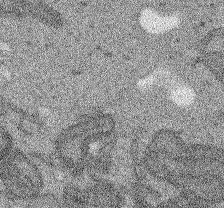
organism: Human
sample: HeLa cells